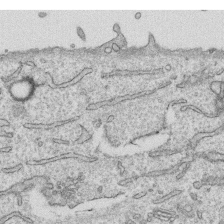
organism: Human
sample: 1205lu cells